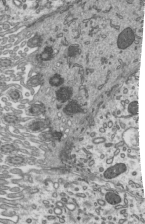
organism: Mouse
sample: Mouse epididymis efferent ductule cilia